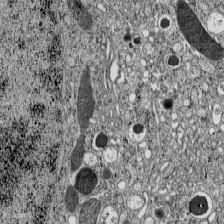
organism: C57BL Mouse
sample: Pancreatic islet